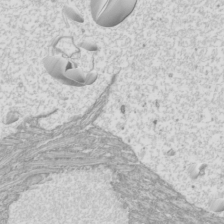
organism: Mouse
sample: Cilia; mouse epididymis